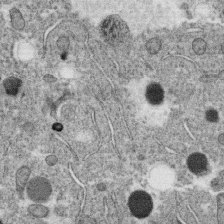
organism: C. elegans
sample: C. elegans oocyte; sperm cells